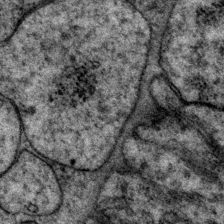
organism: P. pacificus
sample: Pharynx